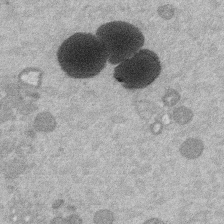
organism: Mouse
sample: Dividing mouse embryo 1 cell stage